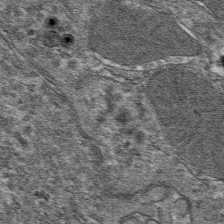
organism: Mouse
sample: Mouse hepatocytes